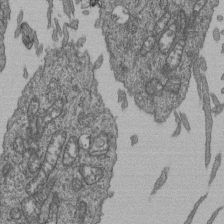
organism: Human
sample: Retinal organoid Rod and Cone cells